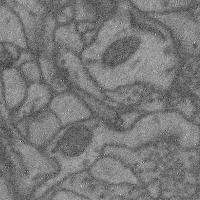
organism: Mouse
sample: Cerebral cortex